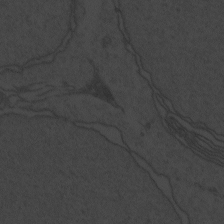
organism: Zebrafish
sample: Macrophage infected with Toxoplasma gondii